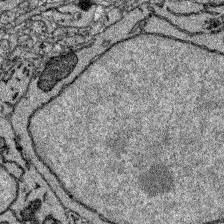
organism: Zebrafish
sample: Larval olfactory bulb